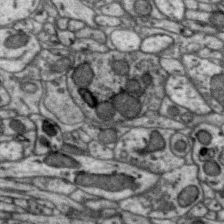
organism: Zebra finch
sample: Brain